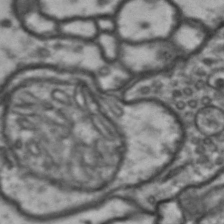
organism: Drosophila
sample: Brain